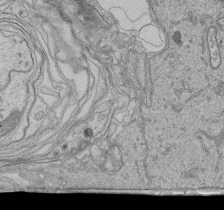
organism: Human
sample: Retinal organoid Rod and Cone cells